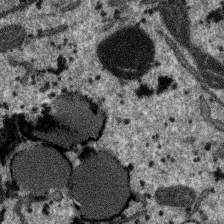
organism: Human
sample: Lung epithelial cells infected with SARS-CoV-2